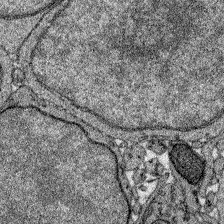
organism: Zebrafish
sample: Larval olfactory bulb